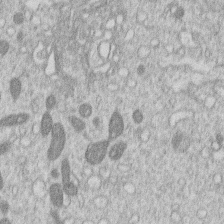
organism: Human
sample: Macrophage cells